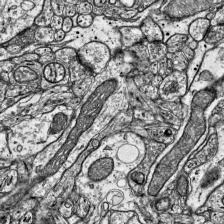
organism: Mouse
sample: Visual Cortex